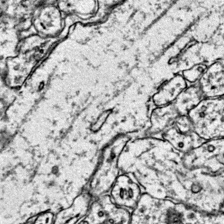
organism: Mouse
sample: Primary visual cortex